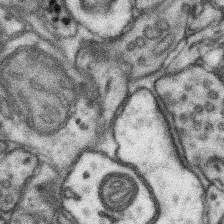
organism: Mouse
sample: Somatosensory cortex neuropil